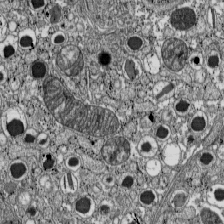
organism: C57BL Mouse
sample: Pancreatic islet